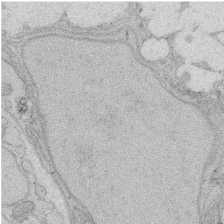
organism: Rat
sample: Salivary granule